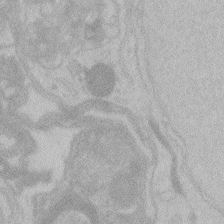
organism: Zebrafish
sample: Macrophage infected with Toxoplasma gondii